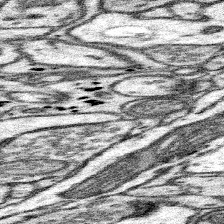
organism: Mouse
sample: Somatosensory cortex neuropil